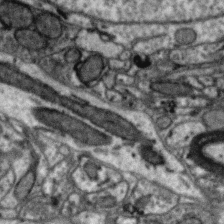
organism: Zebra finch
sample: Brain